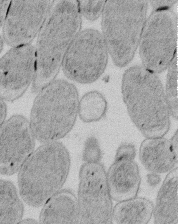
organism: E. coli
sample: Bacterial nucleoid